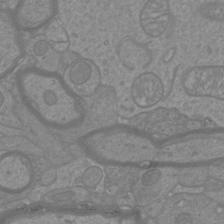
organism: Mouse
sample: Cortical neurons